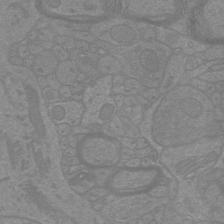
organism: Mouse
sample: Cortical neurons